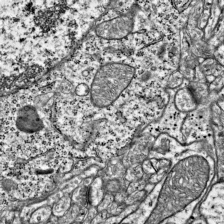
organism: Mouse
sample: Visual Cortex